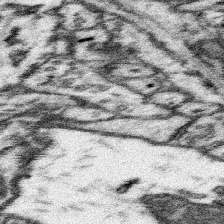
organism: Mouse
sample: Somatosensory cortex neuropil